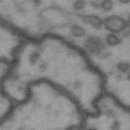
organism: Drosophila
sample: Brain